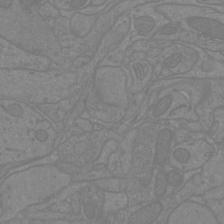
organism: Mouse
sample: Cortical neurons